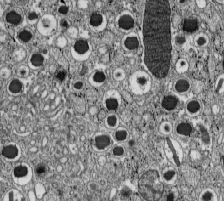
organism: C57BL Mouse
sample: Pancreatic islet